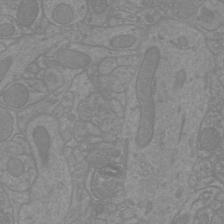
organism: Mouse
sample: Cortical neurons